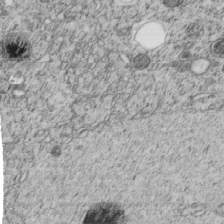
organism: C. elegans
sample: C. elegans embryo early stage